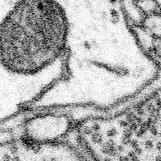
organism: Mouse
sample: Somatosensory cortex neuropil